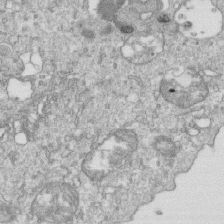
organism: Mouse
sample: Activated OT-1 CD8+ T cells